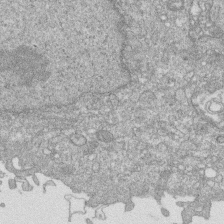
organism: Human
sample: HeLa cell HIV synapse